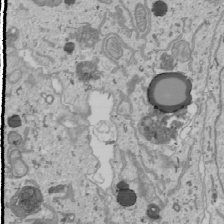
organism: Human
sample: Mitochondria in U2OS cells